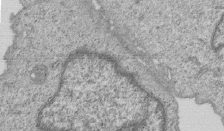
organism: Human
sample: MDA-MB-231 cells